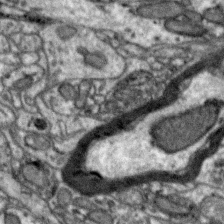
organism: Zebra finch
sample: Brain